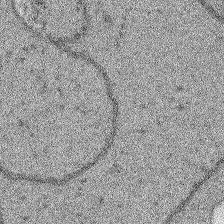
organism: Human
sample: HeLa cells